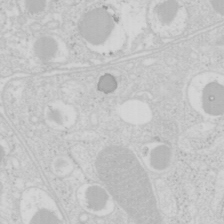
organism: Mouse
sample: Pancreas